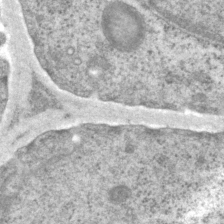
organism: P. pacificus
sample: Pharynx